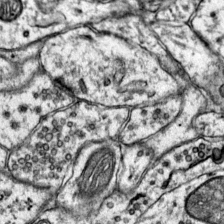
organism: Mouse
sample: Primary visual cortex